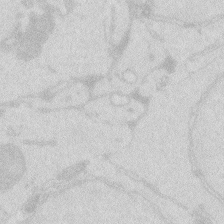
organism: Zebrafish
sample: Macrophage